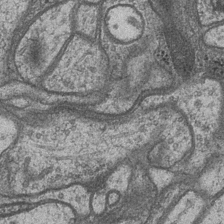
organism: Drosophila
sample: Optic medulla